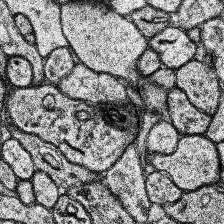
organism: Human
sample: Temporal Lobe